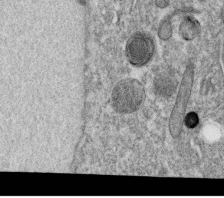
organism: C. elegans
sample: C. elegans oocyte; sperm cells